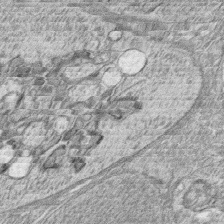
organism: Zebrafish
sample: synaptic ribbons in rod cells and cone cells